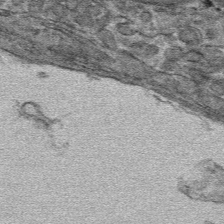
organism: Mouse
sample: Mouse hepatocytes